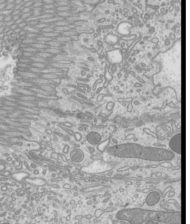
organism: Mouse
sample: Cilia; mouse epididymis